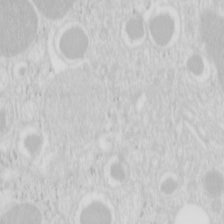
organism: Mouse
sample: Pancreas